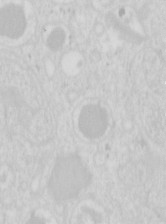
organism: Mouse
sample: Pancreas